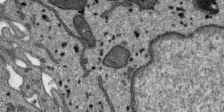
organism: Human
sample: Lung epithelial cells, uninfected (mock) control